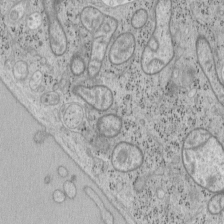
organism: Mouse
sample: OT-I killer T cells with ID8 ovarian cancer cells